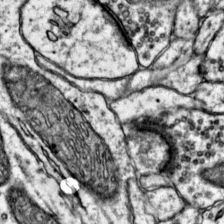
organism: Mouse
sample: Primary visual cortex